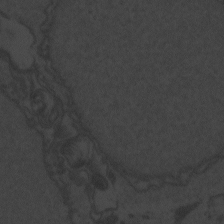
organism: Zebrafish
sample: Macrophage infected with Toxoplasma gondii